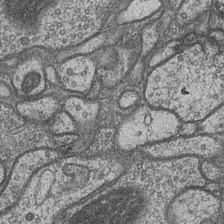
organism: Drosophila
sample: Optic medulla